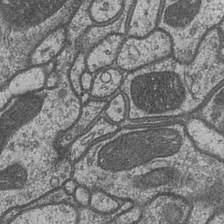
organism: Drosophila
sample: Optic medulla